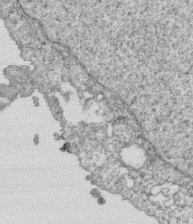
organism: Human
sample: HeLa cell HIV synapse